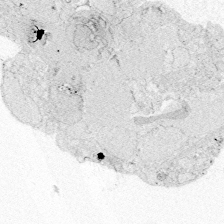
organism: Zebrafish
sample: Whole-Brain